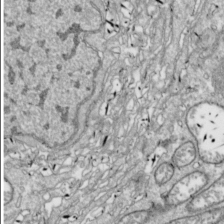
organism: Drosophila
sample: Cell division; meiosis; drosophila spermatocytes